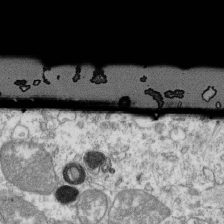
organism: Mouse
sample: Activated OT-1 CD8+ T cells